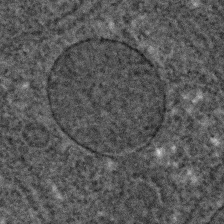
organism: C. elegans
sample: C. elegans embryo